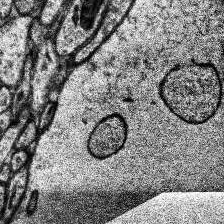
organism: Human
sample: Temporal Lobe